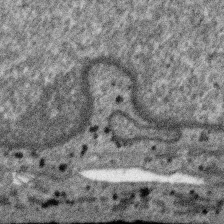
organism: Human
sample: Lung epithelial cells infected with SARS-CoV-2